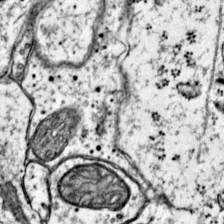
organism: Mouse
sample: Primary visual cortex